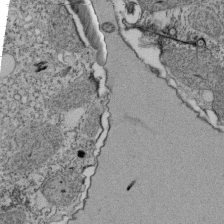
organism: Tetrahymena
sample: Cilia in tetrahymena